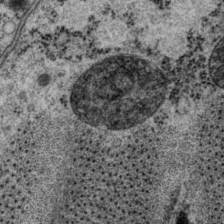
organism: P. pacificus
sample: Pharynx